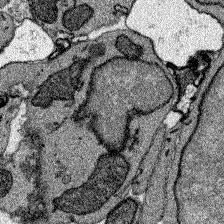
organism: Zebrafish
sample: Larval olfactory bulb